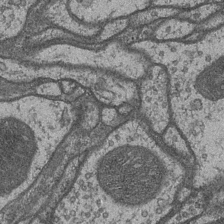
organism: Drosophila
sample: Optic medulla